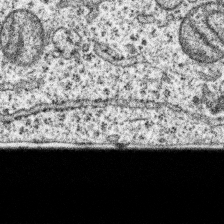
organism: Human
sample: HeLa cells